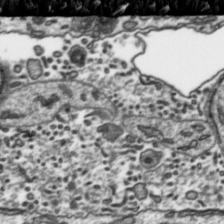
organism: Toxoplasma gondii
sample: Parasites in a vacuole inside a host cell